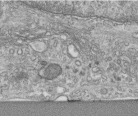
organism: Human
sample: Centriole in RPE cells